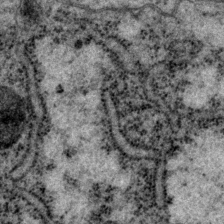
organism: P. pacificus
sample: Pharynx